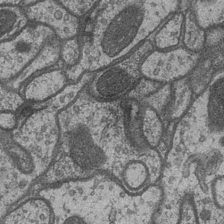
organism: Drosophila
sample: Optic medulla